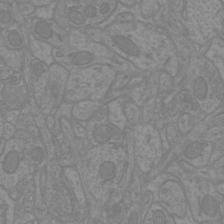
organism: Mouse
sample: Cortical neurons